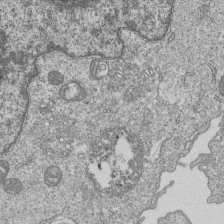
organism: Human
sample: MDA-MB-231 cells